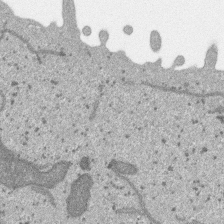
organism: Human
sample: Lung epithelial cells infected with SARS-CoV-2